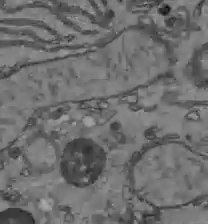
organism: C57BL Mouse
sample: Liver